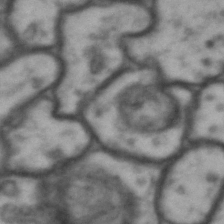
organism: Drosophila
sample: Brain